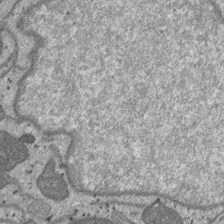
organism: Human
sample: Lung epithelial cells infected with SARS-CoV-2